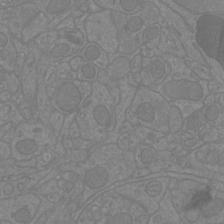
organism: Mouse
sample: Cortical neurons